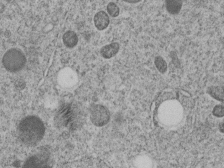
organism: C. elegans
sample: C. elegans embryo early stage